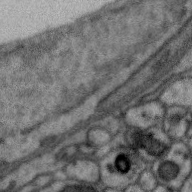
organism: Zebra finch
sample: Brain